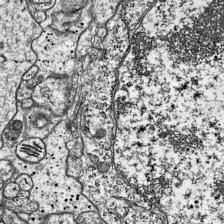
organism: Mouse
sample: Visual Cortex